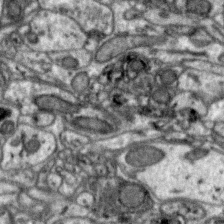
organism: Zebra finch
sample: Brain